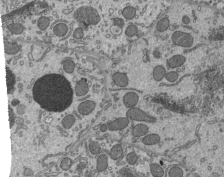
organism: Mouse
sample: Mouse epididymis efferent ductule cilia